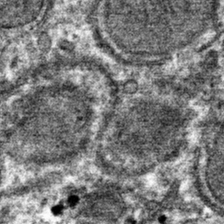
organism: Mouse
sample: Mouse hepatocytes